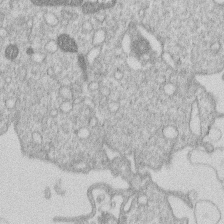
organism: Human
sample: Macrophage cells